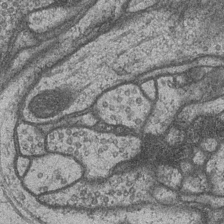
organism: Drosophila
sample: Optic medulla